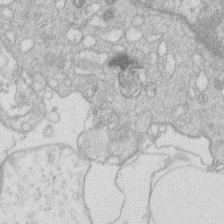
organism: Human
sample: Macrophage cells